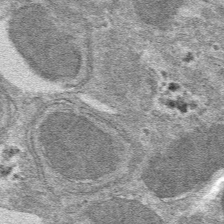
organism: Mouse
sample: Mouse hepatocytes